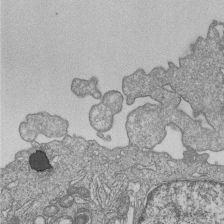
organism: Human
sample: MDA-MB-231 cells